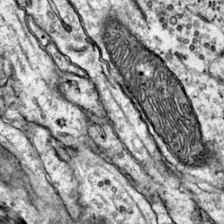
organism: Mouse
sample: Primary visual cortex